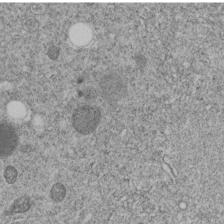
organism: C. elegans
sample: C. elegans embryo early stage